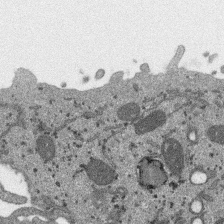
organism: Human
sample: Lung epithelial cells infected with SARS-CoV-2